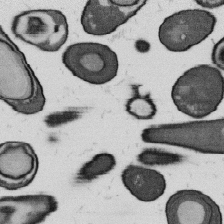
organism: B. subtilis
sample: Bacterial spore